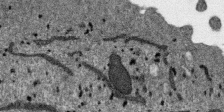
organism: Human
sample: Lung epithelial cells, uninfected (mock) control